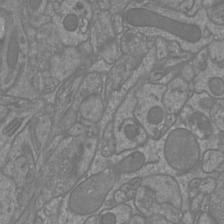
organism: Mouse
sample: Cortical neurons